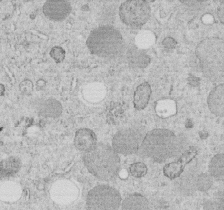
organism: C. elegans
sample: C. elegans embryo early stage